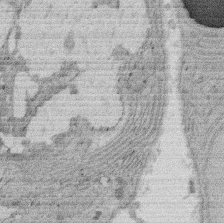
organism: Rat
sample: Salivary granule